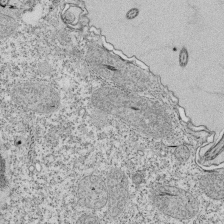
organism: Tetrahymena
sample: Cilia in tetrahymena